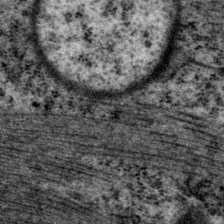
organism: P. pacificus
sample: Pharynx